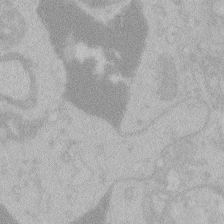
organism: Zebrafish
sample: Macrophage infected with Toxoplasma gondii